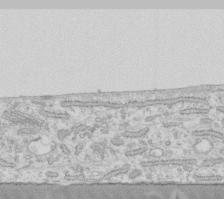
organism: Human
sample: Fibroblast cells